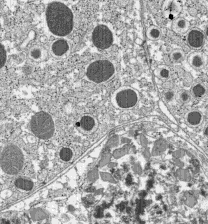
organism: C57BL Mouse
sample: Pancreatic islet